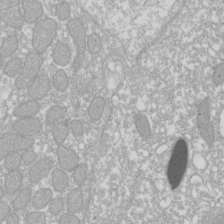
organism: Xenopus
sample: Cilia; centrioles in frog embryo cells